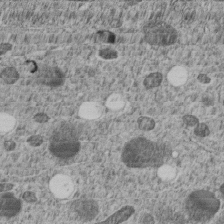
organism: C. elegans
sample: C. elegans embryo early stage